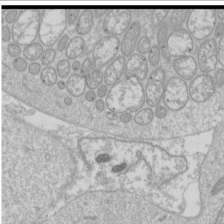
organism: Drosophila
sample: Cell division; meiosis; drosophila spermatocytes